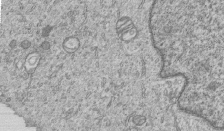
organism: Human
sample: MDA-MB-231 cells